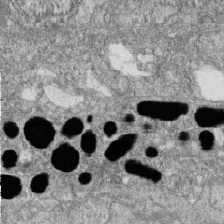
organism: Zebrafish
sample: Cilia; retinal pigment epithelium